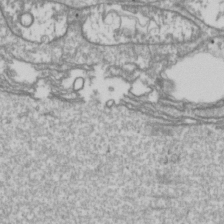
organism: Drosophila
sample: Cell division; meiosis; drosophila spermatocytes